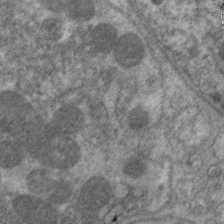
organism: C. elegans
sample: Pharynx